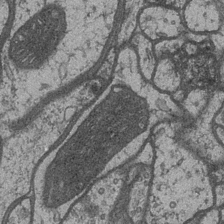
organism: Drosophila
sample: Optic medulla